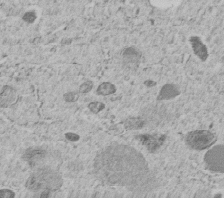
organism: C. elegans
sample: C. elegans embryo early stage